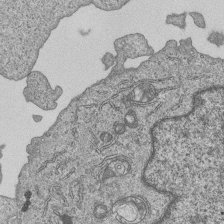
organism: Human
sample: MDA-MB-231 cells